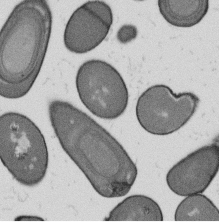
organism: B. subtilis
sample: Bacterial spore